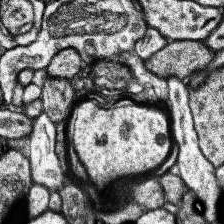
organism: Human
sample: Temporal Lobe